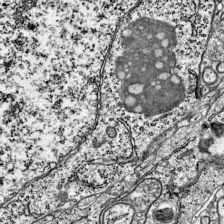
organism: Mouse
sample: Visual Cortex